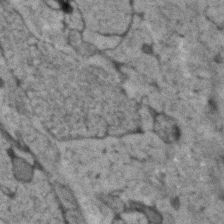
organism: Human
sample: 1205lu cells